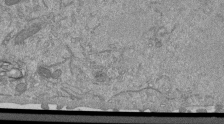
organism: Mouse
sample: ED-1 cell nuclei; centrioles